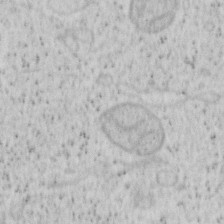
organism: Human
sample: HeLa cells